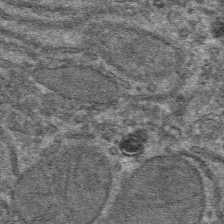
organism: Mouse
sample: Mouse hepatocytes